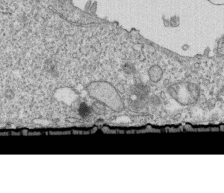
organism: Human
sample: HeLa cell HIV synapse